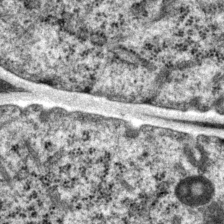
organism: P. pacificus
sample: Pharynx